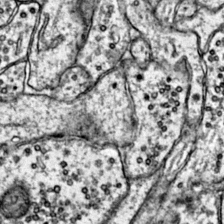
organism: Mouse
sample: Primary visual cortex